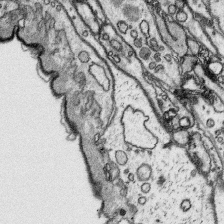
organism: Platynereis dumerilii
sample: Parapodia